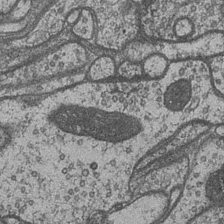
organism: Drosophila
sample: Optic medulla